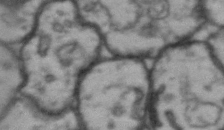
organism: Drosophila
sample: Brain